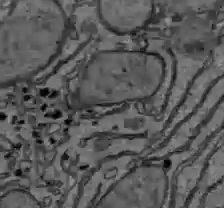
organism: C57BL Mouse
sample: Liver